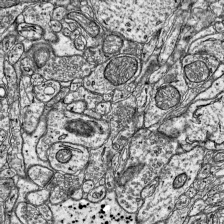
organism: Mouse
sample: Visual Cortex